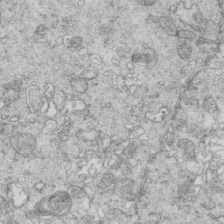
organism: Mouse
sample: Multiciliated cells